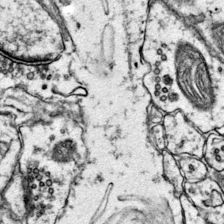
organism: Mouse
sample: Primary visual cortex